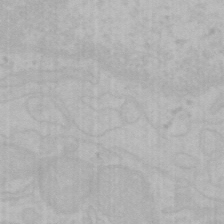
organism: Mouse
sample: Choroid plexus